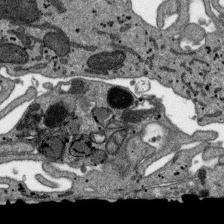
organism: Human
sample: Lung epithelial cells, uninfected (mock) control